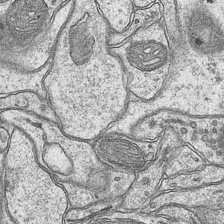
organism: Mouse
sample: CA1 Hippocampus